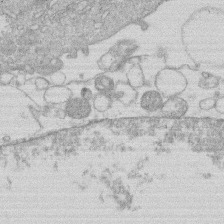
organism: Human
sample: Macrophage cells